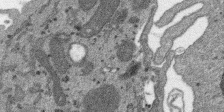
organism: Human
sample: Lung epithelial cells infected with SARS-CoV-2